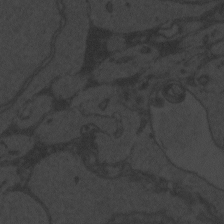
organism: Zebrafish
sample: Macrophage infected with Toxoplasma gondii